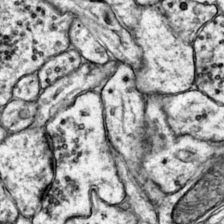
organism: Mouse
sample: Primary visual cortex